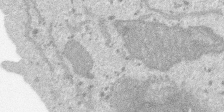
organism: Human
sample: Lung epithelial cells infected with SARS-CoV-2